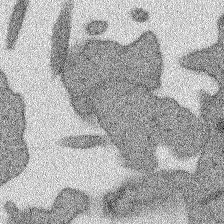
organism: Human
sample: HeLa cells